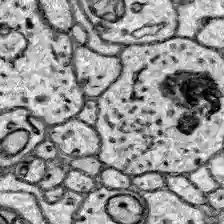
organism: Zebrafish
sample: Brain